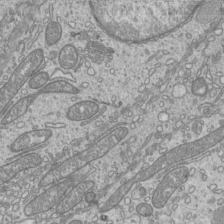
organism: Mouse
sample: Cilia; mouse epididymis